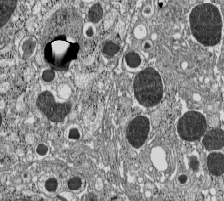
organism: C57BL Mouse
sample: Pancreatic islet